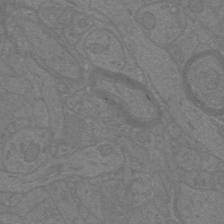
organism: Mouse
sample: Cortical neurons